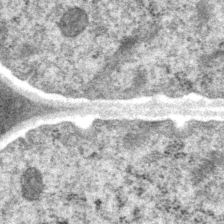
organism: P. pacificus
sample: Pharynx